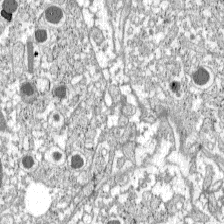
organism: C57BL Mouse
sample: Pancreatic islet